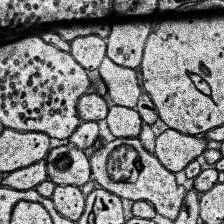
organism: Human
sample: Temporal Lobe